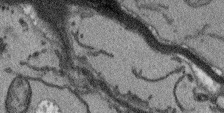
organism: Arabidopsis thaliana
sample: Root tip